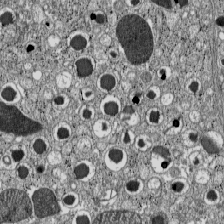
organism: C57BL Mouse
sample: Pancreatic islet